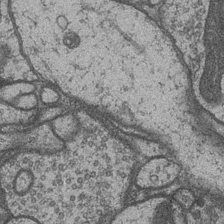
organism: Drosophila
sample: Optic medulla